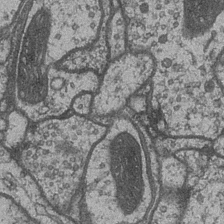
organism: Drosophila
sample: Optic medulla